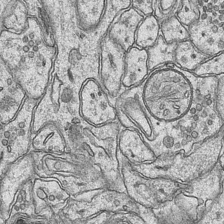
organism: Mouse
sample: CA1 Hippocampus